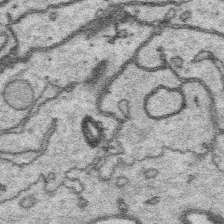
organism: Platynereis dumerilii